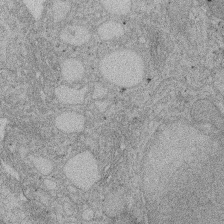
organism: Rat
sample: Salivary granule